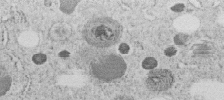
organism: C. elegans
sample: C. elegans embryo early stage